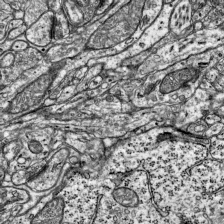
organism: Mouse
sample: Visual Cortex